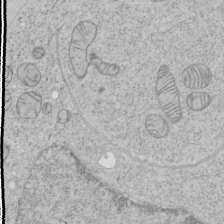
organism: Human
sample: Mitochondria in HCT116 cells